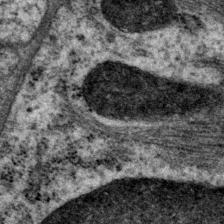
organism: P. pacificus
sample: Pharynx